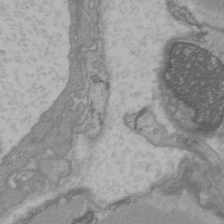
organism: C57BL Mouse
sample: Heart